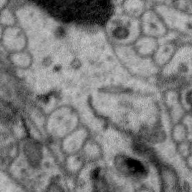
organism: Zebra finch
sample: Brain